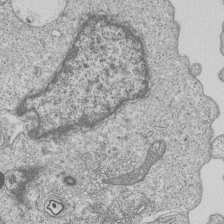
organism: Human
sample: MDA-MB-231 cells